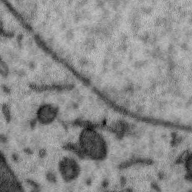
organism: Zebra finch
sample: Brain